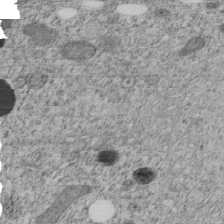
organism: C. elegans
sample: C. elegans embryo early stage